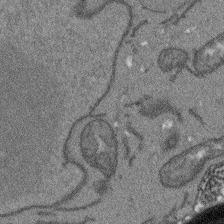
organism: Arabidopsis thaliana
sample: Root tip